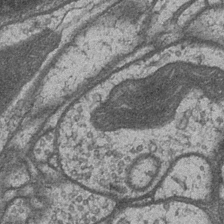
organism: Drosophila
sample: Optic medulla